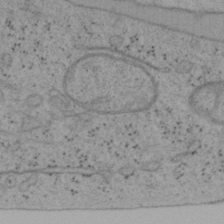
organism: Human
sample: HeLa cells